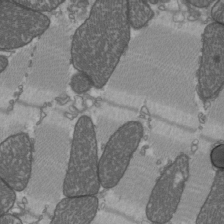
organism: C57BL Mouse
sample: Heart